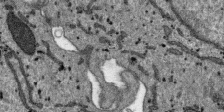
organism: Human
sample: Lung epithelial cells, uninfected (mock) control